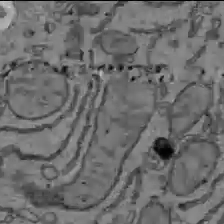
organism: C57BL Mouse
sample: Liver